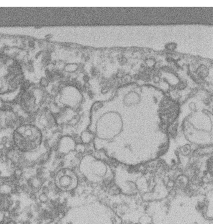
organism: Mouse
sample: T cell stromal cell synapse